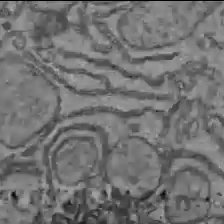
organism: C57BL Mouse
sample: Liver